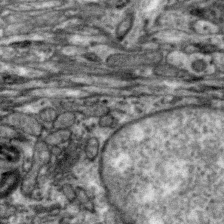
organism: Zebra finch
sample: Brain